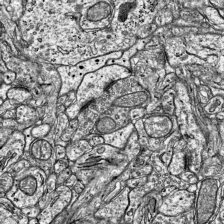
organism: Mouse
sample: Visual Cortex